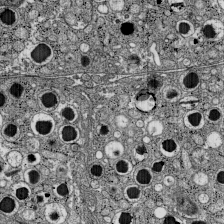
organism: C57BL Mouse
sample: Pancreatic islet